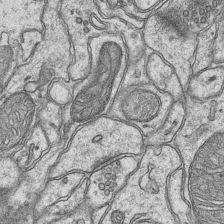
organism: Mouse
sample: CA1 Hippocampus